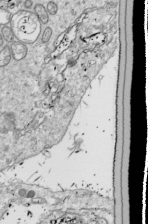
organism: Drosophila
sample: Cell division; meiosis; drosophila spermatocytes